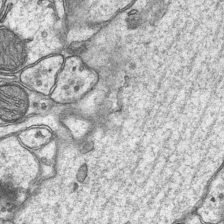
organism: Mouse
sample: CA1 Hippocampus